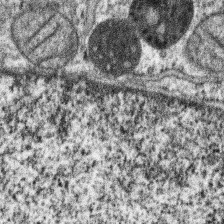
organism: Human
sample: HeLa cells